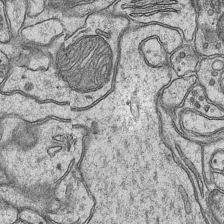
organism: Mouse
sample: CA1 Hippocampus